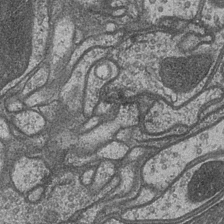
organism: Drosophila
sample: Optic medulla